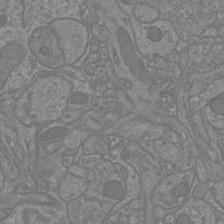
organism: Mouse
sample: Cortical neurons